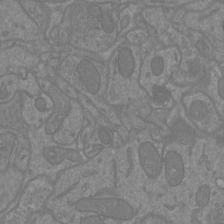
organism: Mouse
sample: Cortical neurons